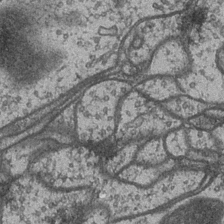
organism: Drosophila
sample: Optic medulla